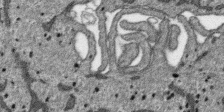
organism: Human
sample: Lung epithelial cells, uninfected (mock) control